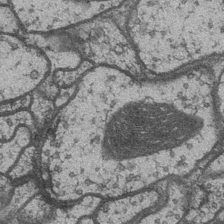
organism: Drosophila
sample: Optic medulla